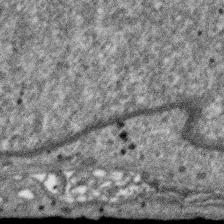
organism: Human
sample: Lung epithelial cells infected with SARS-CoV-2